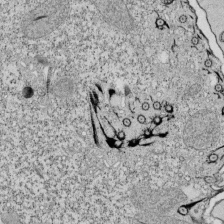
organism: Tetrahymena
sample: Cilia in tetrahymena